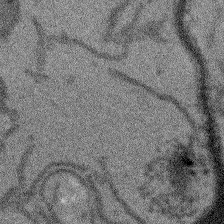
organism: Arabidopsis thaliana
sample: Root tip